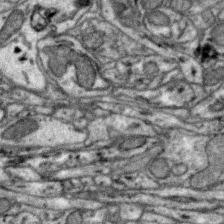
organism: Zebra finch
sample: Brain